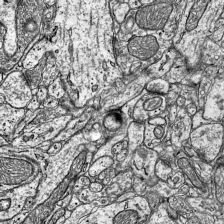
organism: Mouse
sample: Visual Cortex